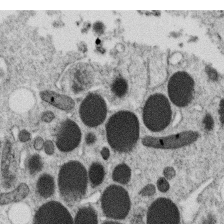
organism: C. elegans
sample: C. elegans oocyte; sperm cells